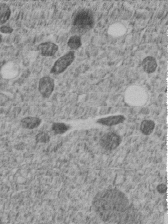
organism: C. elegans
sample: C. elegans embryo early stage